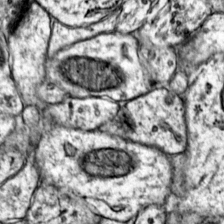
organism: Mouse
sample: Primary visual cortex